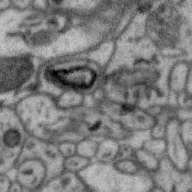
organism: Zebra finch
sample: Brain